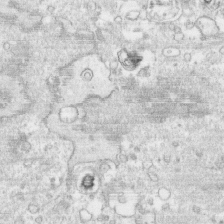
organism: Human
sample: CRL-1474